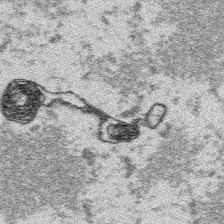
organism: Platynereis dumerilii